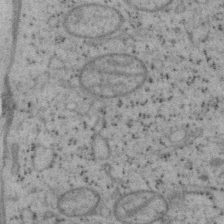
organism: Human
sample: HeLa cells